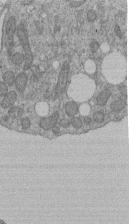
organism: Human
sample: Retinal organoid Rod and Cone cells